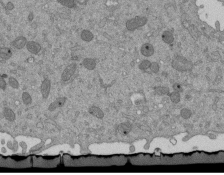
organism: Mouse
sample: ED-1 cell nuclei; centrioles